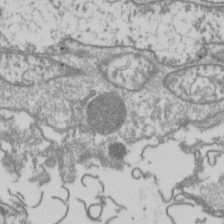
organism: Drosophila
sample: Cell division; meiosis; drosophila spermatocytes